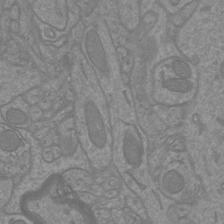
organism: Mouse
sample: Cortical neurons